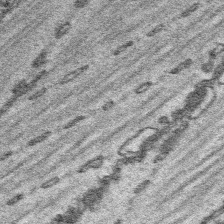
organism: Platynereis dumerilii